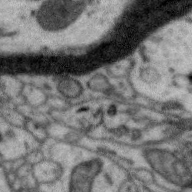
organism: Zebra finch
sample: Brain